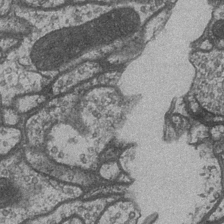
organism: Drosophila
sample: Optic medulla